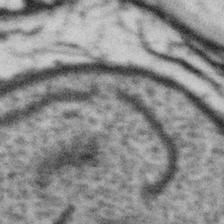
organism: Gemmata obscuriglobus